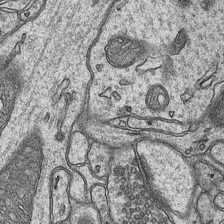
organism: Mouse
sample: CA1 Hippocampus